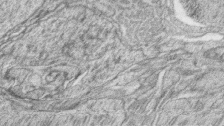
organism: Zebrafish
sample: synaptic ribbons in rod cells and cone cells